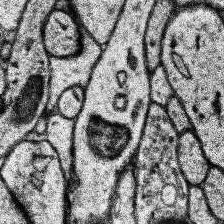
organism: Human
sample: Temporal Lobe